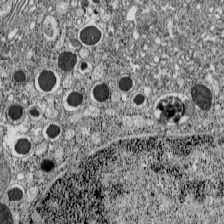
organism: C57BL Mouse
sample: Pancreatic islet